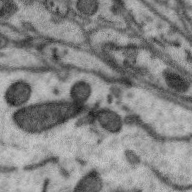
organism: Zebra finch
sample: Brain